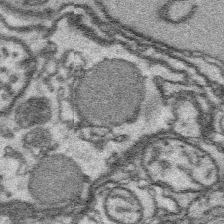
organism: Platynereis dumerilii